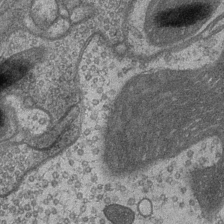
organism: Drosophila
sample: Optic medulla